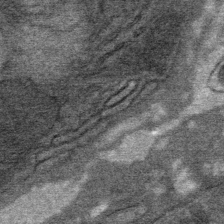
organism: Mouse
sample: Mouse Salivary gland